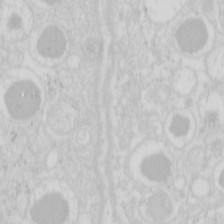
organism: Mouse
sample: Pancreas